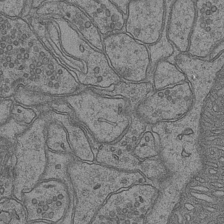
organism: Mouse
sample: CA1 Hippocampus